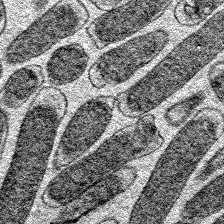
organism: E. coli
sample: E. Coli Bacteria